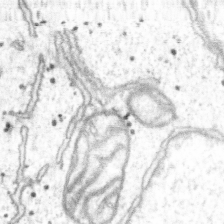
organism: Human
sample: HeLa cells